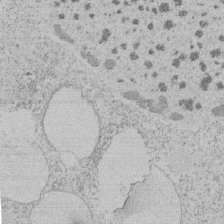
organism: Tetrahymena